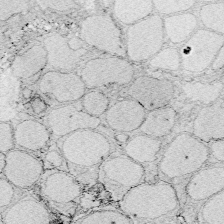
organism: Zebrafish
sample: Whole-Brain